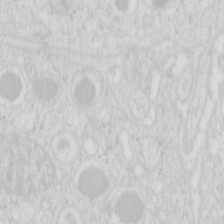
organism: Mouse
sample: Pancreas